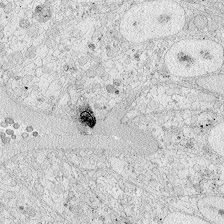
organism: Zebrafish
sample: Whole-Brain